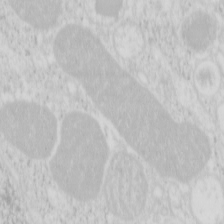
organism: Mouse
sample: Pancreas